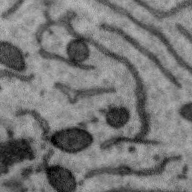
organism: Zebra finch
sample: Brain